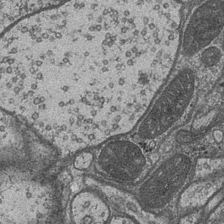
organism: Drosophila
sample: Optic medulla